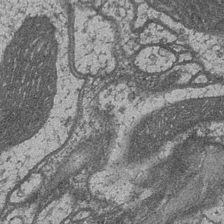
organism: Drosophila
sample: Optic medulla